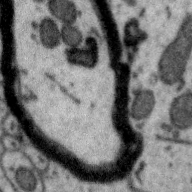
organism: Zebra finch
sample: Brain